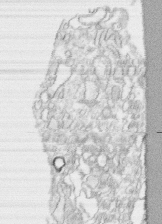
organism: Human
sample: CRL-1474